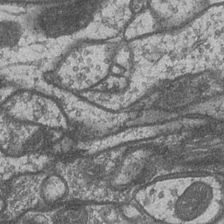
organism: Drosophila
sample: Optic medulla